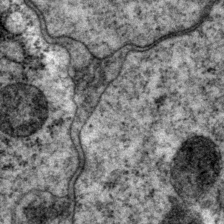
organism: P. pacificus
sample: Pharynx